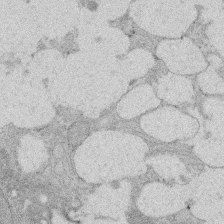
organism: Rat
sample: Salivary granule